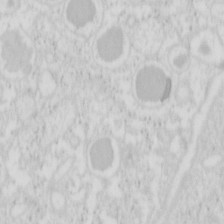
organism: Mouse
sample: Pancreas